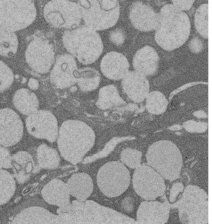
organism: Rat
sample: Salivary granule